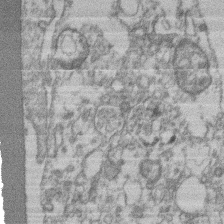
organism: Mouse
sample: T cell stromal cell synapse